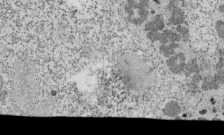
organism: Tetrahymena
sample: Cilia in tetrahymena